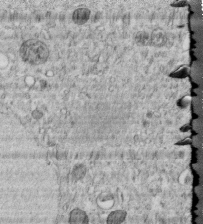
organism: C. elegans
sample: C. elegans embryo early stage